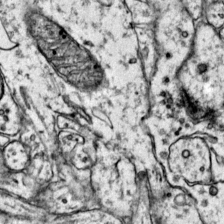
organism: Mouse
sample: Primary visual cortex